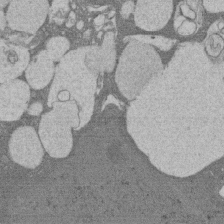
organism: Rat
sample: Salivary granule